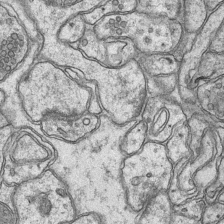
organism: Mouse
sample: CA1 Hippocampus